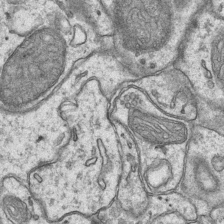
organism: Mouse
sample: CA1 Hippocampus